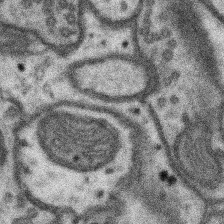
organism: Mouse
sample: Somatosensory cortex neuropil